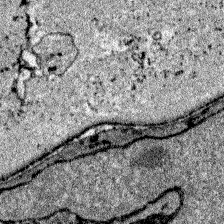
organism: Zebrafish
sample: Larval olfactory bulb